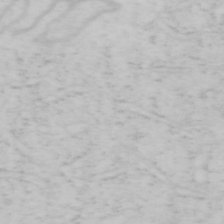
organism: Mouse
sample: OT-I killer T cells with ID8 ovarian cancer cells